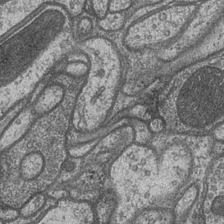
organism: Drosophila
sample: Optic medulla